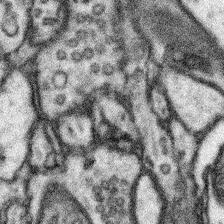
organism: Mouse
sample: Somatosensory cortex neuropil